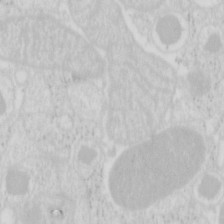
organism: Mouse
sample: Pancreas